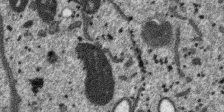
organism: Human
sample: Lung epithelial cells infected with SARS-CoV-2